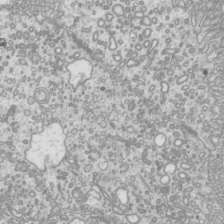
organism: Mouse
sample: Cilia; mouse epididymis